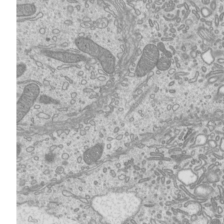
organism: Mouse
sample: Cilia; mouse epididymis